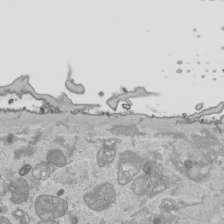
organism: Human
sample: Mitochondria in HCT116 cells